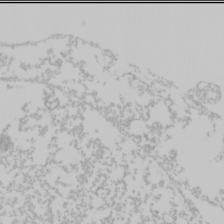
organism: Mouse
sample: Cancer cell death in ED-1 cells